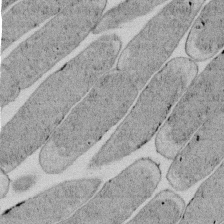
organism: E. coli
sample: Bacterial nucleoid